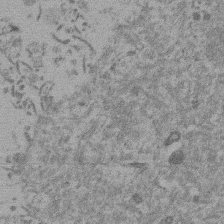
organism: Mouse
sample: Dividing mouse embryo 1 cell stage